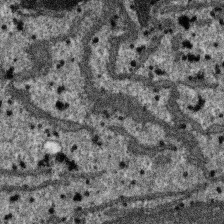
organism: Human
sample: Lung epithelial cells infected with SARS-CoV-2